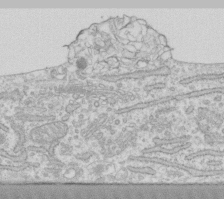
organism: Human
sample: Fibroblast cells